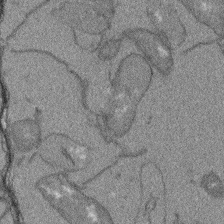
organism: Arabidopsis thaliana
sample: Root tip